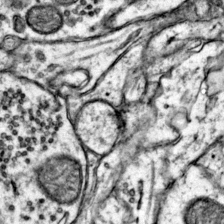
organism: Mouse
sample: Primary visual cortex